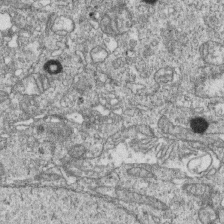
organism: Human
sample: HeLa cell HIV synapse